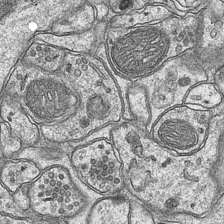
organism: Mouse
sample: CA1 Hippocampus